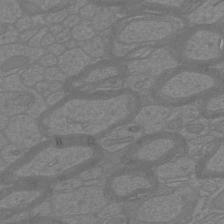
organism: Mouse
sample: Cortical neurons